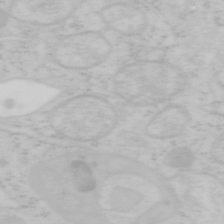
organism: Mouse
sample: OT-I killer T cells with ID8 ovarian cancer cells